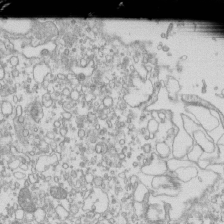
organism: Mouse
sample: Macrophages